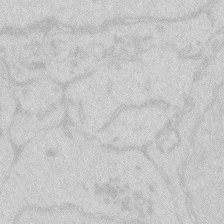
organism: Zebrafish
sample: Macrophage